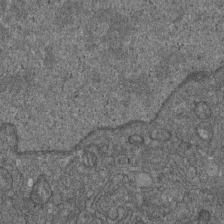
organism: Drosophila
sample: Nephrocyte